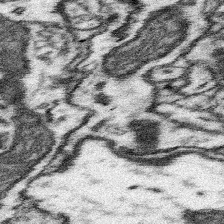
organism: Mouse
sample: Somatosensory cortex neuropil